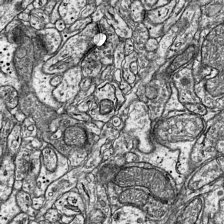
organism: Mouse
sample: Visual Cortex